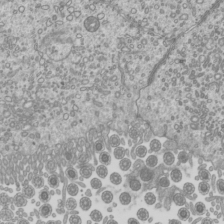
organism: Mouse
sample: Cilia; mouse epididymis